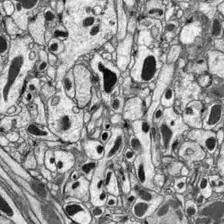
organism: Drosophila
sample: Optic lobe